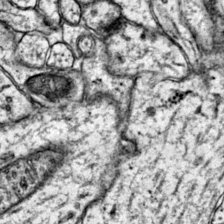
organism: Mouse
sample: Primary visual cortex